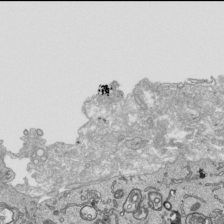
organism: Human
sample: Mitochondria in HCT116 cells